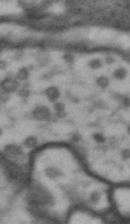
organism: Drosophila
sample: Brain